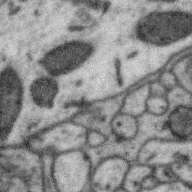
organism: Zebra finch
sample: Brain